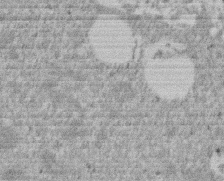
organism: Mouse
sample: Dividing mouse embryo 1 cell stage